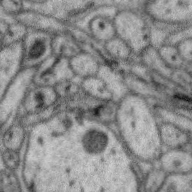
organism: Zebra finch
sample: Brain